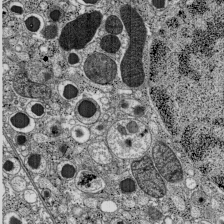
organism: C57BL Mouse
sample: Pancreatic islet